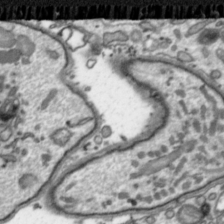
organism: Toxoplasma gondii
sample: Parasites in a vacuole inside a host cell